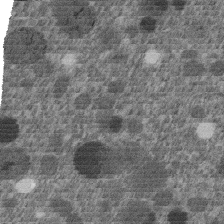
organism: C. elegans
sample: C. elegans embryo early stage